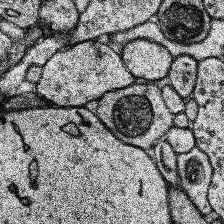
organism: Human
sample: Temporal Lobe